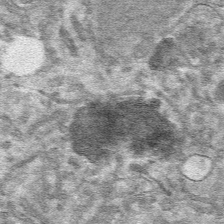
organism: Mouse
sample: Mouse hepatocytes